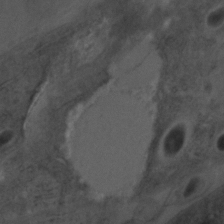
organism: C. elegans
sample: C. elegans embryo